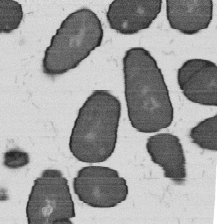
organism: B. subtilis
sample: Bacterial spore